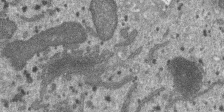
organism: Human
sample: Lung epithelial cells infected with SARS-CoV-2